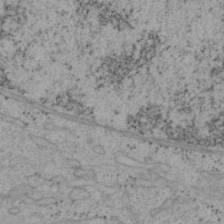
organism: Human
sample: HeLa cells